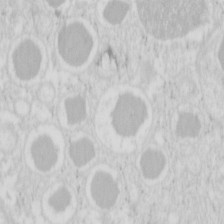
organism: Mouse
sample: Pancreas